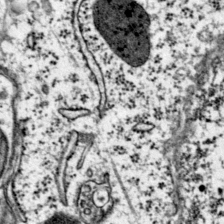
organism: Mouse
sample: Primary visual cortex